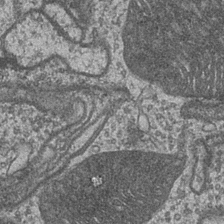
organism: Drosophila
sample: Optic medulla